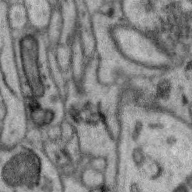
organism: Zebra finch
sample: Brain